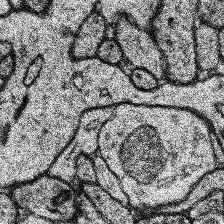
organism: Human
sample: Temporal Lobe